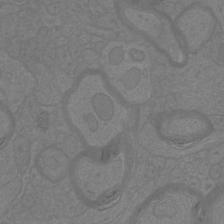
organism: Mouse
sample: Cortical neurons